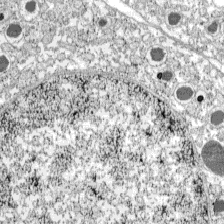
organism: C57BL Mouse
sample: Pancreatic islet